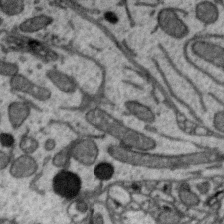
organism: Zebra finch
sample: Brain